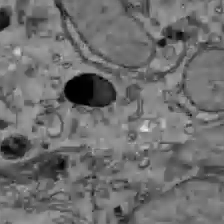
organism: C57BL Mouse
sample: Liver